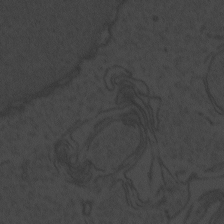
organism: Zebrafish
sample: Macrophage infected with Toxoplasma gondii